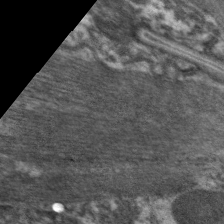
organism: C. elegans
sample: Pharynx